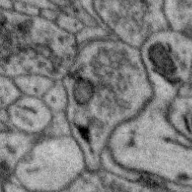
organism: Zebra finch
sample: Brain